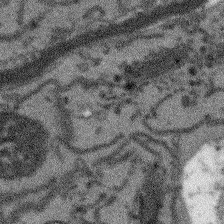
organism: Arabidopsis thaliana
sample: Root tip